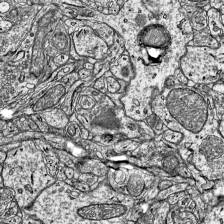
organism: Mouse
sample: Visual Cortex